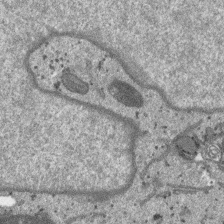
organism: Human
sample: Lung epithelial cells infected with SARS-CoV-2